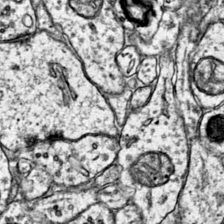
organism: Mouse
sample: Primary visual cortex